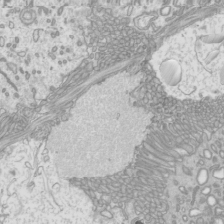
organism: Mouse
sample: Cilia; mouse epididymis